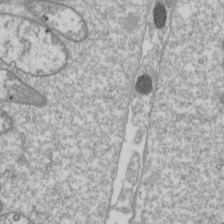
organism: Drosophila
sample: Cell division; meiosis; drosophila spermatocytes